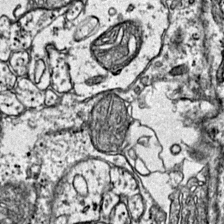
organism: Mouse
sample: Primary visual cortex